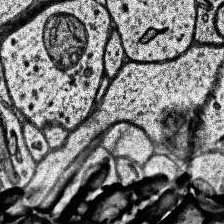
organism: Human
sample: Temporal Lobe